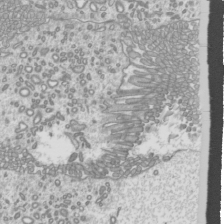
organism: Mouse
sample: Cilia; mouse epididymis